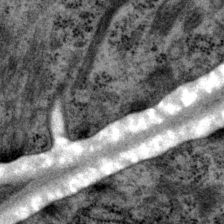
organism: P. pacificus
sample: Pharynx